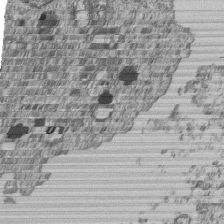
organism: Human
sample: MDA-MB-231 cells